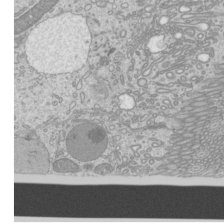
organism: Mouse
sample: Cilia; mouse epididymis